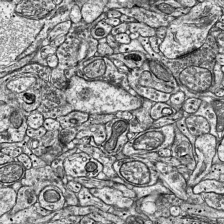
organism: Mouse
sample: Visual Cortex